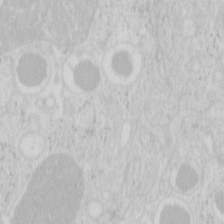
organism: Mouse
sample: Pancreas